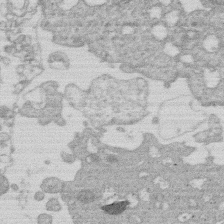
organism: Human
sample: Macrophage cells